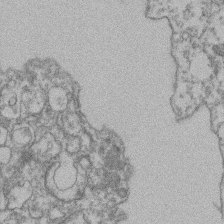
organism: Mouse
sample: T cell stromal cell synapse